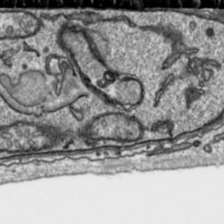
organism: Toxoplasma gondii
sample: Parasites in a vacuole inside a host cell